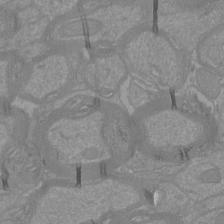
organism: Mouse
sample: Cortical neurons